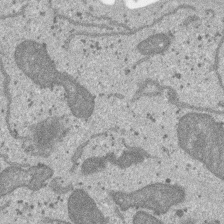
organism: Human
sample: Lung epithelial cells infected with SARS-CoV-2